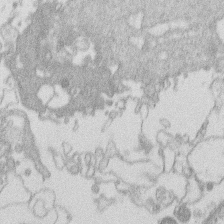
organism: Human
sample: Macrophage cells